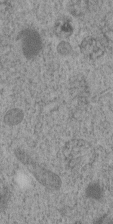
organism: C. elegans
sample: C. elegans embryo early stage